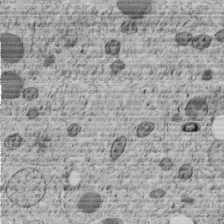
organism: C. elegans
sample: C. elegans embryo early stage